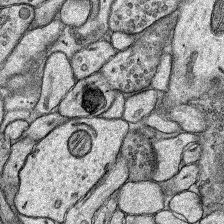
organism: Rat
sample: Hippocampus